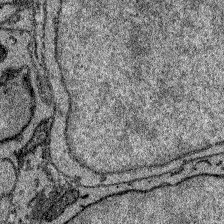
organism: Zebrafish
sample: Larval olfactory bulb